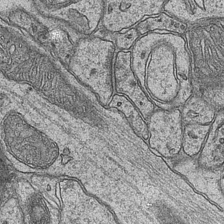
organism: Mouse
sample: CA1 Hippocampus